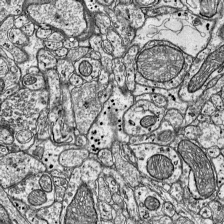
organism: Mouse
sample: Visual Cortex